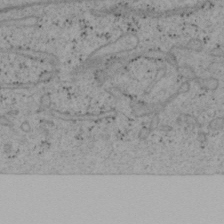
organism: Human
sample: HeLa cells